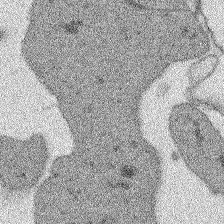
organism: Human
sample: HeLa cells